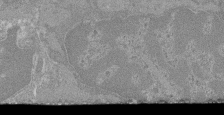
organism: Mouse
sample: Glomerulus